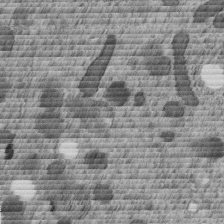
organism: C. elegans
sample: C. elegans embryo early stage